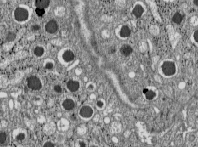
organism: C57BL Mouse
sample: Pancreatic islet